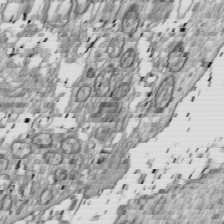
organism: Drosophila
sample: Cell division; meiosis; drosophila spermatocytes